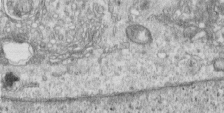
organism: Human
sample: Centriole in RPE cells